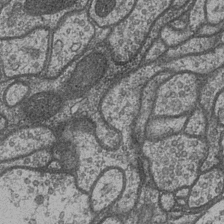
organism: Drosophila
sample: Optic medulla